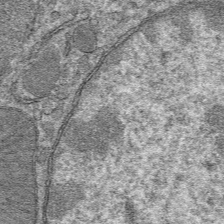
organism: Mouse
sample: Mouse hepatocytes